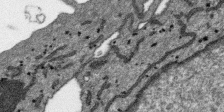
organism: Human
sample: Lung epithelial cells, uninfected (mock) control